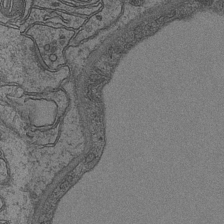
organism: Mouse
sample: CA1 Hippocampus